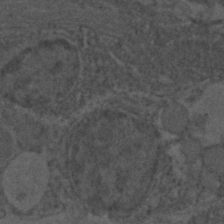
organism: C. elegans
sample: C. elegans embryo